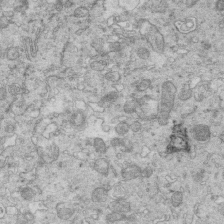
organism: Mouse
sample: Multiciliated cells